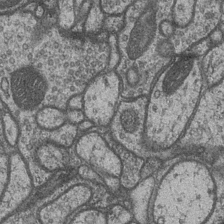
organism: Drosophila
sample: Optic medulla